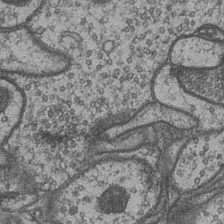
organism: Drosophila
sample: Optic medulla